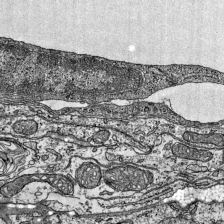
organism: Mouse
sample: Visual Cortex